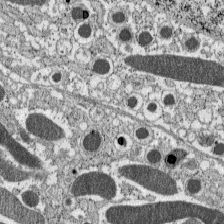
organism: C57BL Mouse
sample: Pancreatic islet